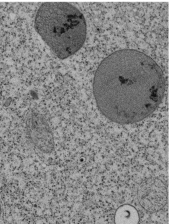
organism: Tetrahymena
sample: Cilia in tetrahymena